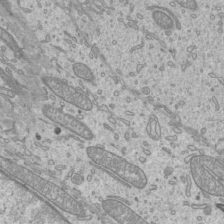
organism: Mouse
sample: Cilia; mouse epididymis